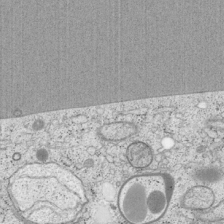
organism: African green monkey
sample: COS-7 cells